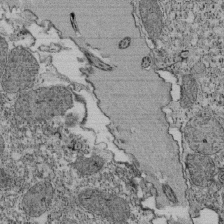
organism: Tetrahymena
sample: Cilia in tetrahymena